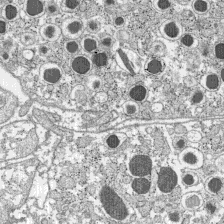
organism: C57BL Mouse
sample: Pancreatic islet